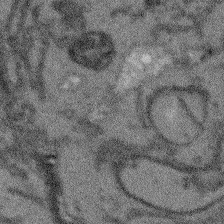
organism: Arabidopsis thaliana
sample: Root tip